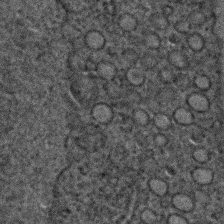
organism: C. elegans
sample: C. elegans embryo